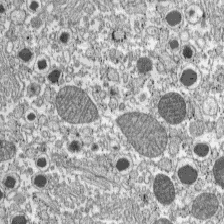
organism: C57BL Mouse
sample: Pancreatic islet